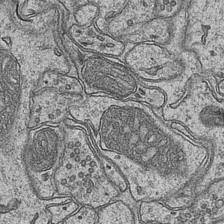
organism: Mouse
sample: CA1 Hippocampus